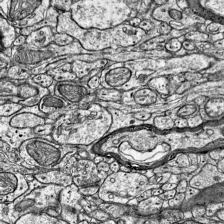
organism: Mouse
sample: Visual Cortex